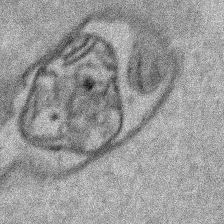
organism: Human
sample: Mitochondria in HCT116 cells